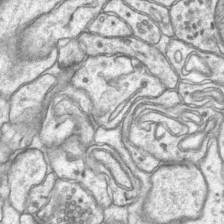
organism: Mouse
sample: CA1 Hippocampus